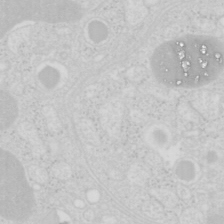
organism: Mouse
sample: Pancreas